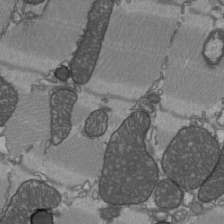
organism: C57BL Mouse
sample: Heart